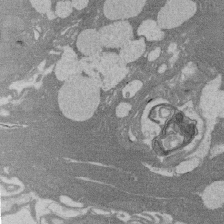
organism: Rat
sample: Salivary granule